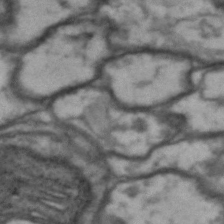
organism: Drosophila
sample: Brain